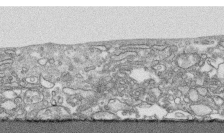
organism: Human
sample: CRL-1474